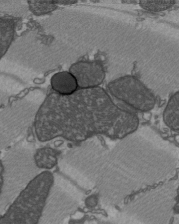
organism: C57BL Mouse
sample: Heart